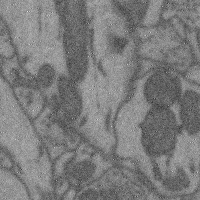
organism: Mouse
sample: Cerebral cortex